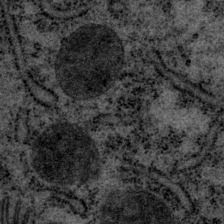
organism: P. pacificus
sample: Pharynx